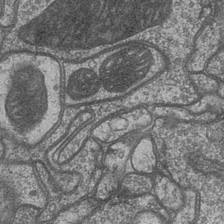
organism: Drosophila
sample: Optic medulla